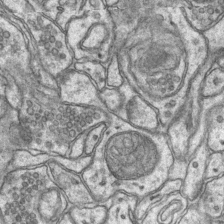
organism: Mouse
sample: CA1 Hippocampus